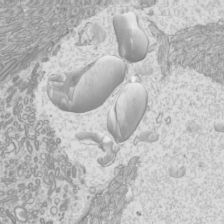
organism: Mouse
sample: Cilia; mouse epididymis